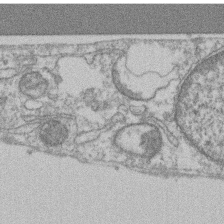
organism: Mouse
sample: T cell stromal cell synapse